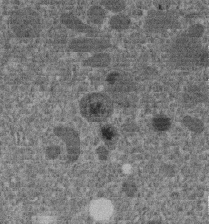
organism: C. elegans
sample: C. elegans embryo early stage